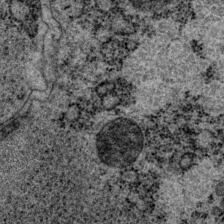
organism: P. pacificus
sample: Pharynx